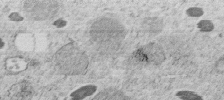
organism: C. elegans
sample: C. elegans embryo early stage